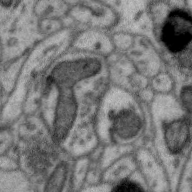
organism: Zebra finch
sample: Brain